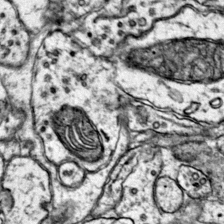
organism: Mouse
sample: Primary visual cortex